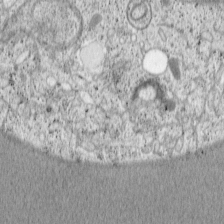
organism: African green monkey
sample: COS-7 cells